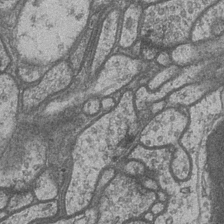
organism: Drosophila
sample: Optic medulla